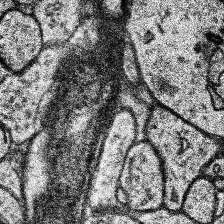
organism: Human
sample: Temporal Lobe